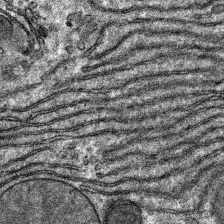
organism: Mouse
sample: Mouse hepatocytes